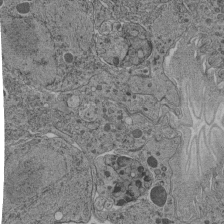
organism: C. elegans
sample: C. elegans pharynx